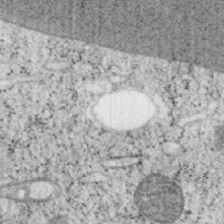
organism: Mouse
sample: OT-I killer T cells with ID8 ovarian cancer cells